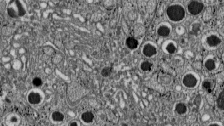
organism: C57BL Mouse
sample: Pancreatic islet